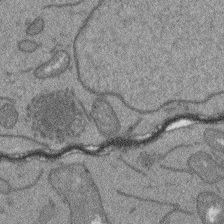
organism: Arabidopsis thaliana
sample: Root tip